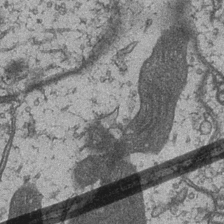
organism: Drosophila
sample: Optic medulla